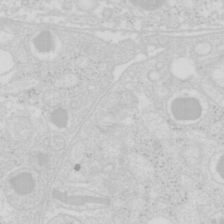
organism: Mouse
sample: Pancreas